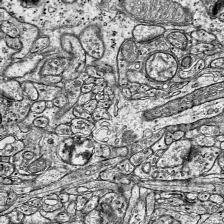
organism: Mouse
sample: Visual Cortex